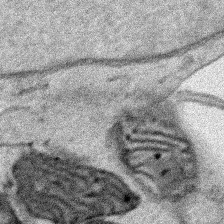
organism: Human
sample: Mitochondria in HCT116 cells